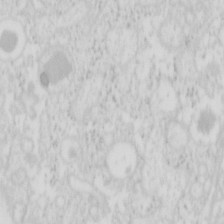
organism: Mouse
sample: Pancreas